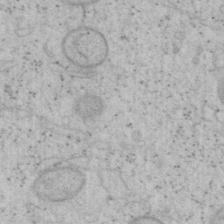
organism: Human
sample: HeLa cells